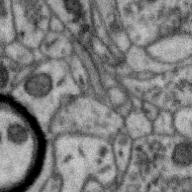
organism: Zebra finch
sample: Brain